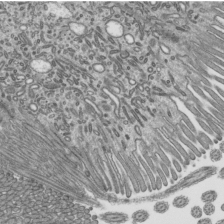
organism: Mouse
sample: Mouse epididymis efferent ductule cilia